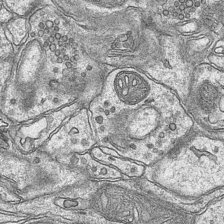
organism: Mouse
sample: CA1 Hippocampus